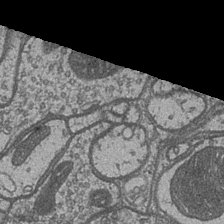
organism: Drosophila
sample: Optic medulla